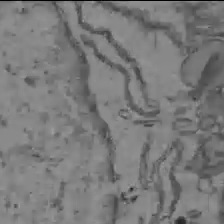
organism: C57BL Mouse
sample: Liver